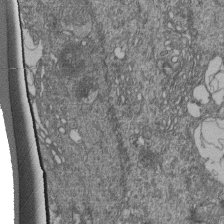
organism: Human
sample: Retinal organoid Rod and Cone cells